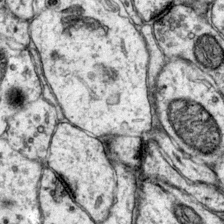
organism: Mouse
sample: Primary visual cortex